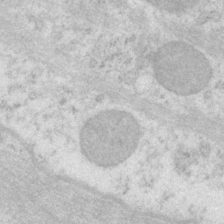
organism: P. pacificus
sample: Pharynx